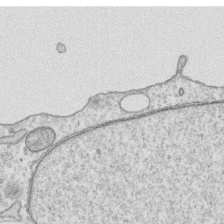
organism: Human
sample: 1205lu cells